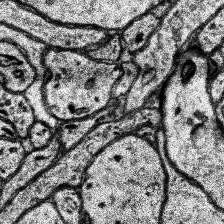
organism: Human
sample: Temporal Lobe